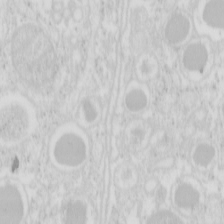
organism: Mouse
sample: Pancreas